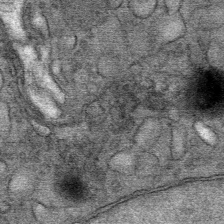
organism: Mouse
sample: Mouse Salivary gland